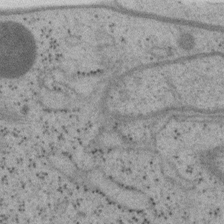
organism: Human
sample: HeLa cells